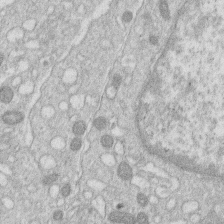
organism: Human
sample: Macrophage cells